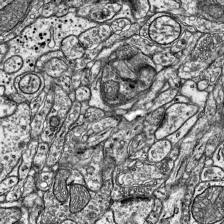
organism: Mouse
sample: Visual Cortex